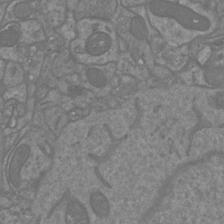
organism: Mouse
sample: Cortical neurons